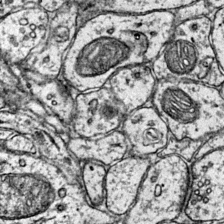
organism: Mouse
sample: Primary visual cortex